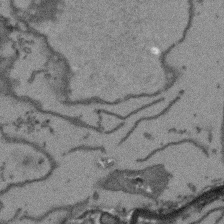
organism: Arabidopsis thaliana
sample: Root tip